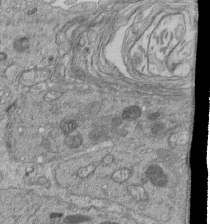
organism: Human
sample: Retinal organoid Rod and Cone cells